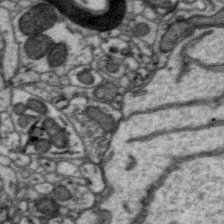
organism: Zebra finch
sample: Brain